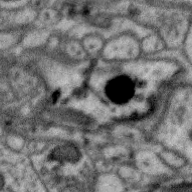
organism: Zebra finch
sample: Brain